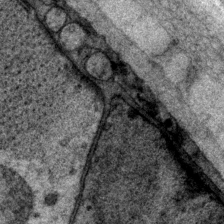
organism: P. pacificus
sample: Pharynx